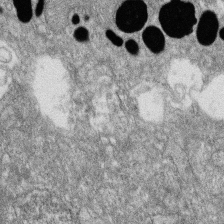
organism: Zebrafish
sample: Cilia; retinal pigment epithelium